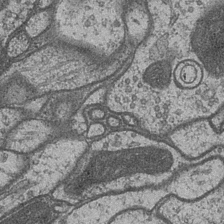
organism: Drosophila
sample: Optic medulla